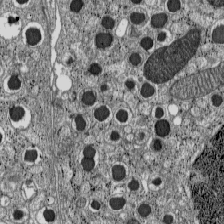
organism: C57BL Mouse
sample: Pancreatic islet